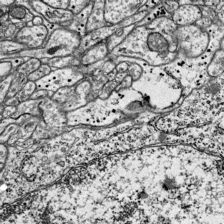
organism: Mouse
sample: Visual Cortex